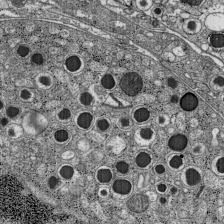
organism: C57BL Mouse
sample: Pancreatic islet